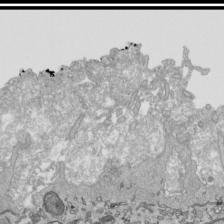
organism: Human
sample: Mitochondria in HCT116 cells